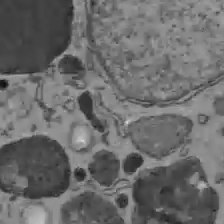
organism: C57BL Mouse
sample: Liver